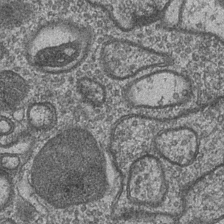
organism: Drosophila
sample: Optic medulla